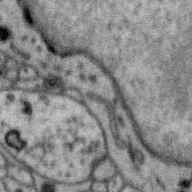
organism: Zebra finch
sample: Brain